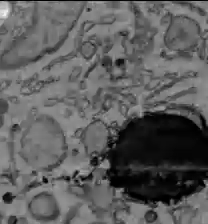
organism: C57BL Mouse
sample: Liver